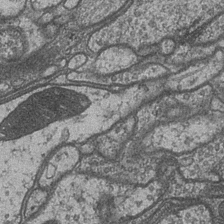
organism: Drosophila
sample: Optic medulla